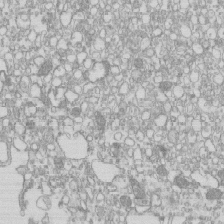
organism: Mouse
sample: Macrophages